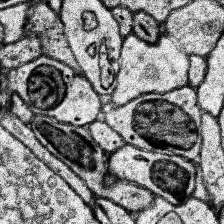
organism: Human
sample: Temporal Lobe